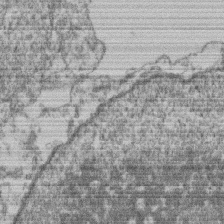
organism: Mouse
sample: T cell stromal cell synapse